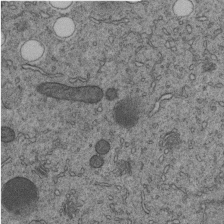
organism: C. elegans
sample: C. elegans embryo early stage